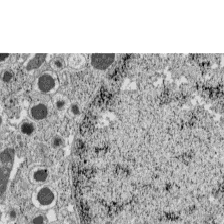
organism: C57BL Mouse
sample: Pancreatic islet